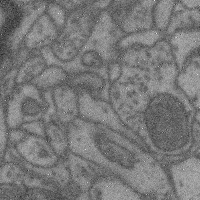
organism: Mouse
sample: Cerebral cortex